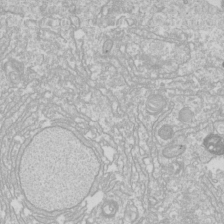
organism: Drosophila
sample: Cell division; meiosis; drosophila spermatocytes